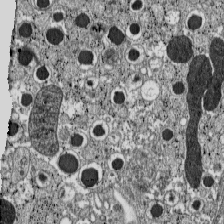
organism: C57BL Mouse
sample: Pancreatic islet